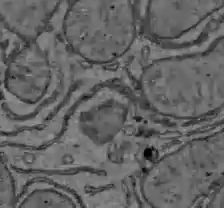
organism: C57BL Mouse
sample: Liver